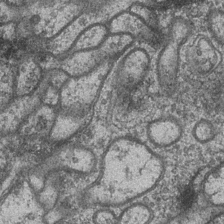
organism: Drosophila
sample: Optic medulla